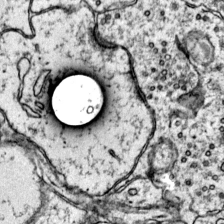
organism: Mouse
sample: Primary visual cortex